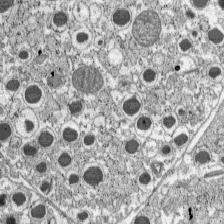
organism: C57BL Mouse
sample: Pancreatic islet